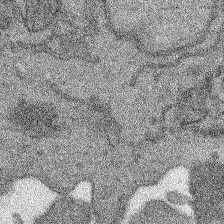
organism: Human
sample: HeLa cells